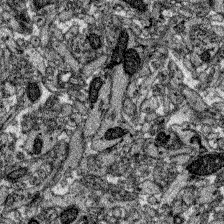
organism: Zebrafish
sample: Larval olfactory bulb